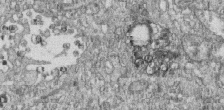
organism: Human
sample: HeLa cell HIV synapse